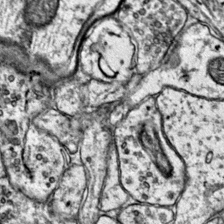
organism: Mouse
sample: Primary visual cortex